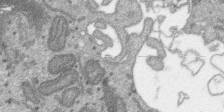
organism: Human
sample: Lung epithelial cells infected with SARS-CoV-2